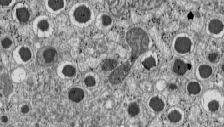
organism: C57BL Mouse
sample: Pancreatic islet